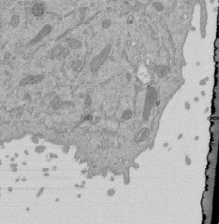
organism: Mouse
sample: ED-1 cell nuclei; centrioles